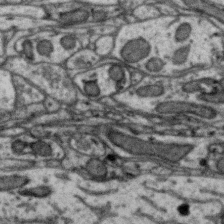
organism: Zebra finch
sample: Brain